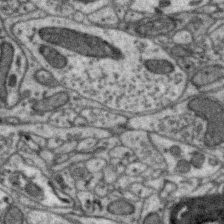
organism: Zebra finch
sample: Brain